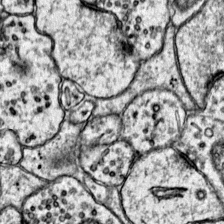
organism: Mouse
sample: Primary visual cortex